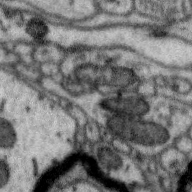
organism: Zebra finch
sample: Brain